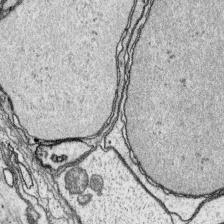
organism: Platynereis dumerilii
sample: Parapodia